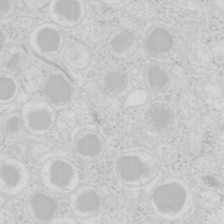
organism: Mouse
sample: Pancreas